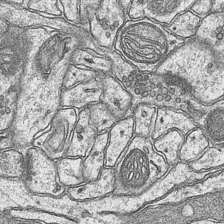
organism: Mouse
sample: CA1 Hippocampus